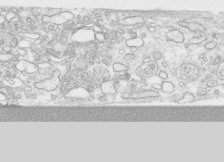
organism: Human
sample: CRL-1474